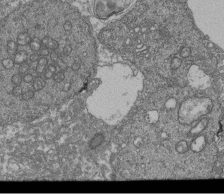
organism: Human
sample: Retinal organoid Rod and Cone cells